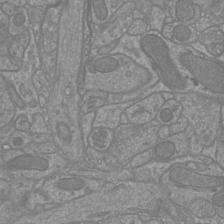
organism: Mouse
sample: Cortical neurons